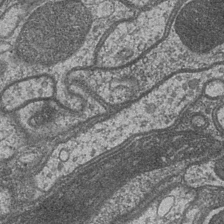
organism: Drosophila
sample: Optic medulla